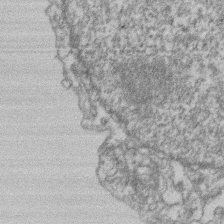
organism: Mouse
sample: T cell stromal cell synapse